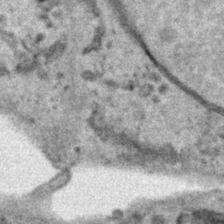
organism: Human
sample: Mitochondria in HCT116 cells